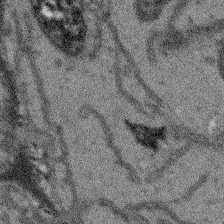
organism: Arabidopsis thaliana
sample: Root tip